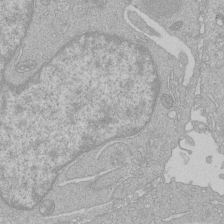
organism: Human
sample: Macrophage cells